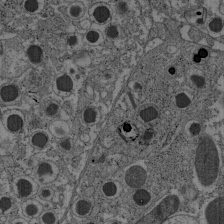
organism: C57BL Mouse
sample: Pancreatic islet